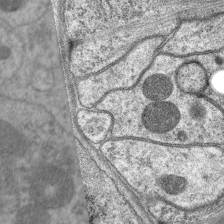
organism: C. elegans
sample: Pharynx